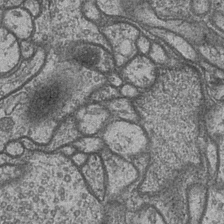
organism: Drosophila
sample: Optic medulla